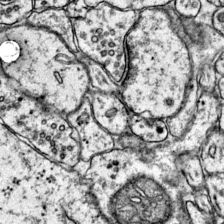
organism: Mouse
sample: Primary visual cortex